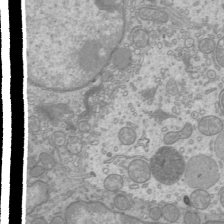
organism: Mouse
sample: Cilia; mouse epididymis